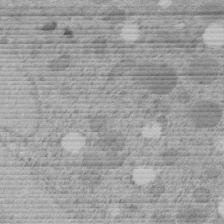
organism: C. elegans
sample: C. elegans embryo early stage